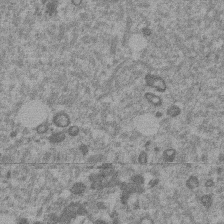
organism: Mouse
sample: Dividing mouse embryo 1 cell stage